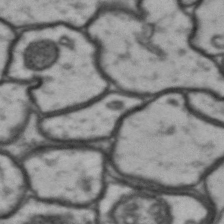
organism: Drosophila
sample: Brain